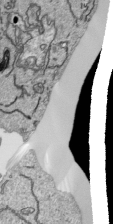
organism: Human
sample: Mitochondria in HCT116 cells